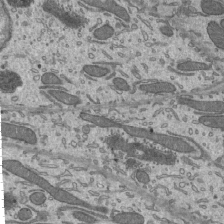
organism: Mouse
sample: Mouse epididymis efferent ductule cilia